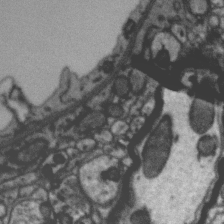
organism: Zebra finch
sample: Brain